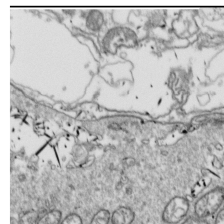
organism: Drosophila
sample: Cell division; meiosis; drosophila spermatocytes